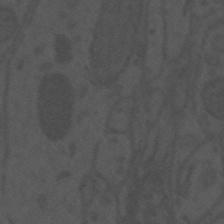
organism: Mouse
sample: Suprachiasmatic nucleus